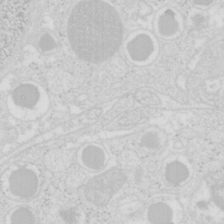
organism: Mouse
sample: Pancreas